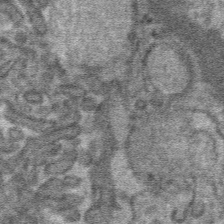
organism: Mouse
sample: Mouse hepatocytes